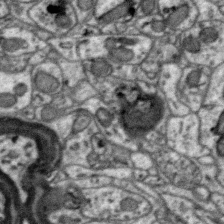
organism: Zebra finch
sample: Brain